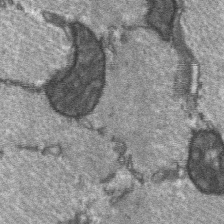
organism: C57BL Mouse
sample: Soleus